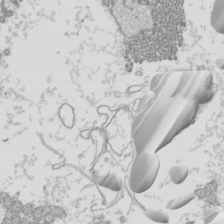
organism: Mouse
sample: Cilia; mouse epididymis